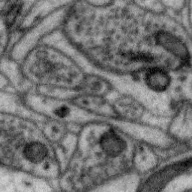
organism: Zebra finch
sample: Brain